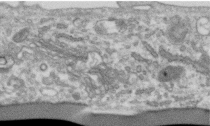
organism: Human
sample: Centriole in RPE cells